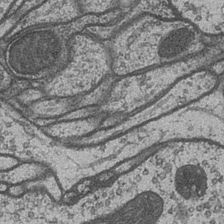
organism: Drosophila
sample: Optic medulla